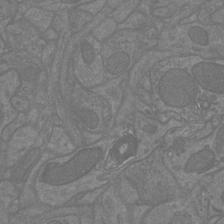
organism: Mouse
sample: Cortical neurons